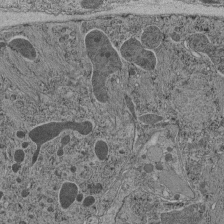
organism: C. elegans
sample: C. elegans pharynx